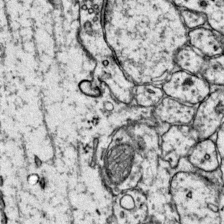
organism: Mouse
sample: Primary visual cortex